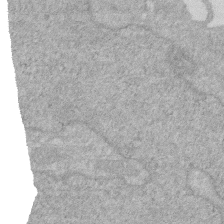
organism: Human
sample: HIV infected U937 cells